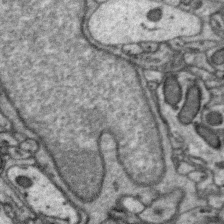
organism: Zebra finch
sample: Brain